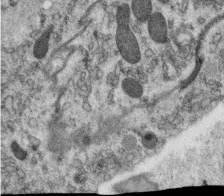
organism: C. elegans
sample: C. elegans oocyte; sperm cells